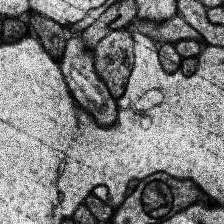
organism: Human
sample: Temporal Lobe